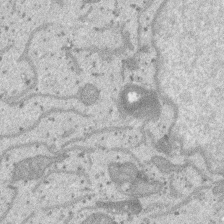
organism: Human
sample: Lung epithelial cells infected with SARS-CoV-2